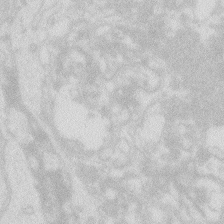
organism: Zebrafish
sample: Macrophage